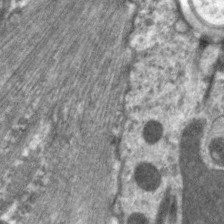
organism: C. elegans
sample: Pharynx